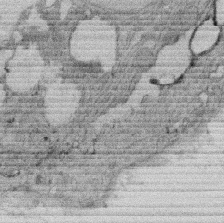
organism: Rat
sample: Salivary granule